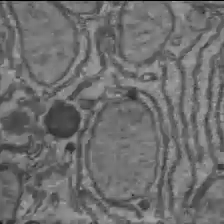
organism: C57BL Mouse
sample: Liver